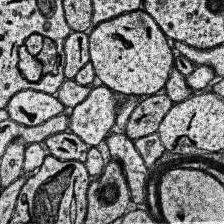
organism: Human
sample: Temporal Lobe